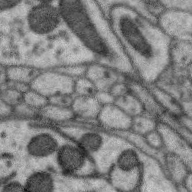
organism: Zebra finch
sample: Brain